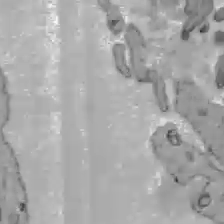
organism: C57BL Mouse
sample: Liver